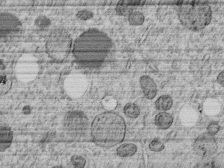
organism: C. elegans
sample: C. elegans embryo early stage